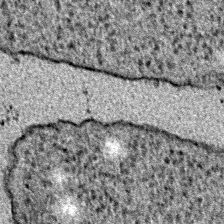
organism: E. coli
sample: E. Coli Bacteria